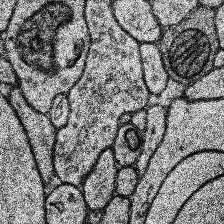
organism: Human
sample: Temporal Lobe